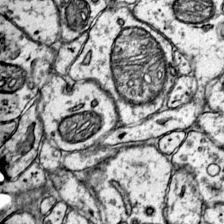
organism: Mouse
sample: Primary visual cortex